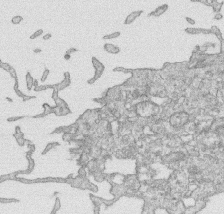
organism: Human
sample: HeLa cell HIV synapse